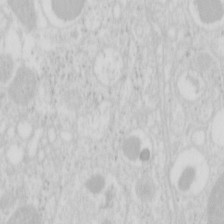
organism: Mouse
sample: Pancreas